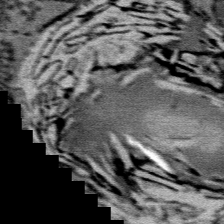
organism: Mouse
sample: Mouse Salivary gland